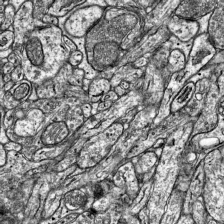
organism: Mouse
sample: Visual Cortex